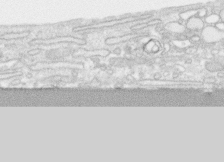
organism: Human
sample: CRL-1474